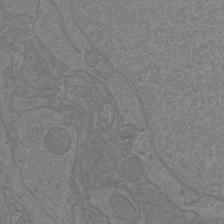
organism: Mouse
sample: Cortical neurons